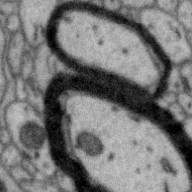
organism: Zebra finch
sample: Brain